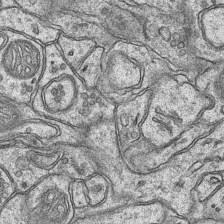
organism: Mouse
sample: CA1 Hippocampus